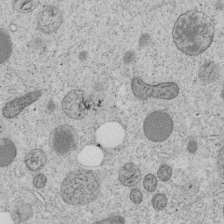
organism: C. elegans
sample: C. elegans embryo early stage